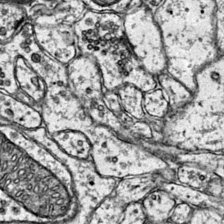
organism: Mouse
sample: Primary visual cortex